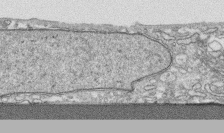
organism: Human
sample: CRL-1474